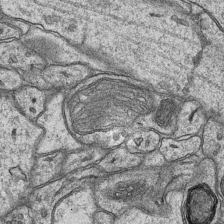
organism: Mouse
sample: CA1 Hippocampus